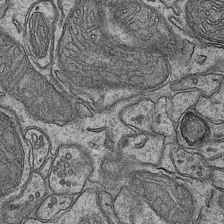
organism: Mouse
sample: CA1 Hippocampus